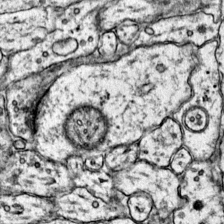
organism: Mouse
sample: Primary visual cortex